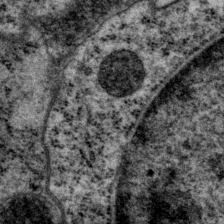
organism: P. pacificus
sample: Pharynx